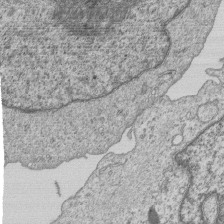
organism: Human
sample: MDA-MB-231 cells